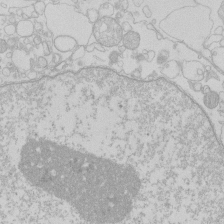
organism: Human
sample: Macrophage cells